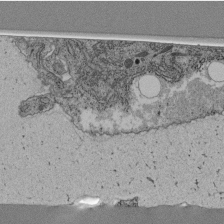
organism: C. elegans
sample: C. elegans pharynx